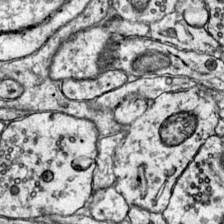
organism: Mouse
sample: Primary visual cortex